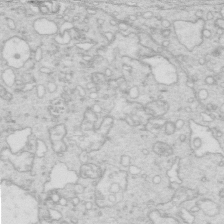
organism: Mouse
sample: Multiciliated cells